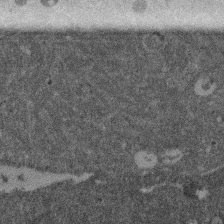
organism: Mouse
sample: Dividing mouse embryo 1 cell stage